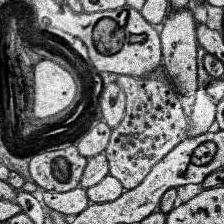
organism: Human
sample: Temporal Lobe